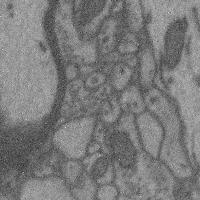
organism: Mouse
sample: Cerebral cortex